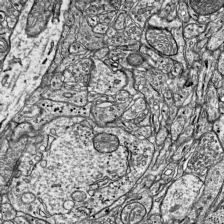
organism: Mouse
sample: Visual Cortex